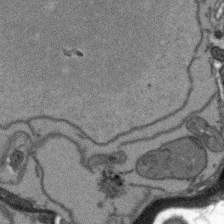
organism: Arabidopsis thaliana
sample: Root tip